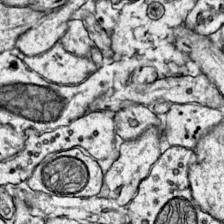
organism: Mouse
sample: Primary visual cortex